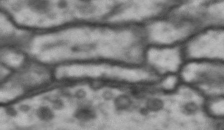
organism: Drosophila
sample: Brain